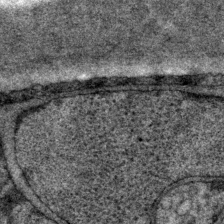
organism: P. pacificus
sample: Pharynx